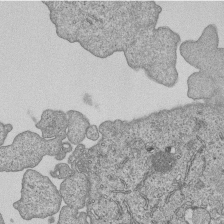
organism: Human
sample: MDA-MB-231 cells